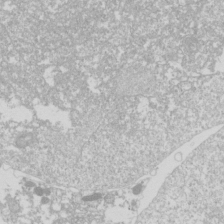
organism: Drosophila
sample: Cell division; meiosis; drosophila spermatocytes